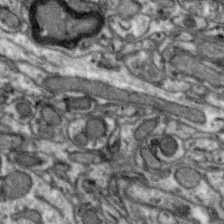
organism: Zebra finch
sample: Brain